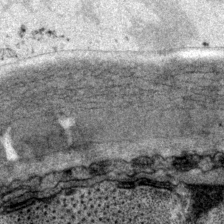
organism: P. pacificus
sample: Pharynx